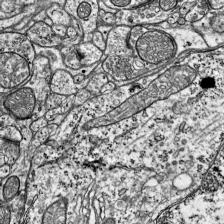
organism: Mouse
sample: Visual Cortex